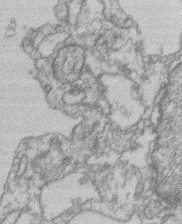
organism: Mouse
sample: T cell stromal cell synapse